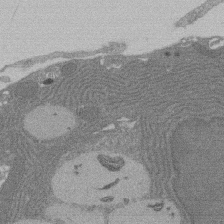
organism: Rat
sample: Salivary granule